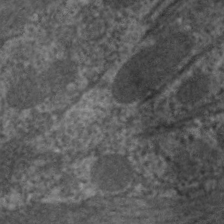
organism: C. elegans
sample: Pharynx